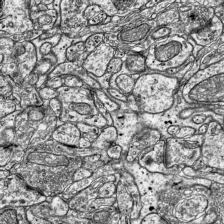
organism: Mouse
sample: Visual Cortex